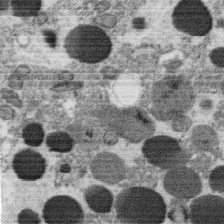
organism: C. elegans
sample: C. elegans oocyte; sperm cells